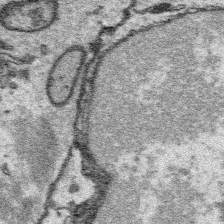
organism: Platynereis dumerilii